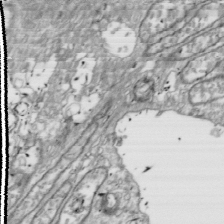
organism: Drosophila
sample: Cell division; meiosis; drosophila spermatocytes